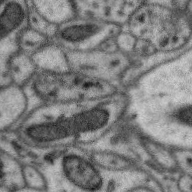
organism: Zebra finch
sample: Brain